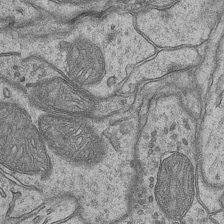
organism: Mouse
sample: CA1 Hippocampus